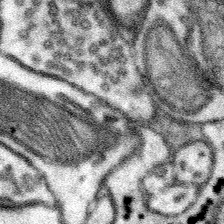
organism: Mouse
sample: Somatosensory cortex neuropil